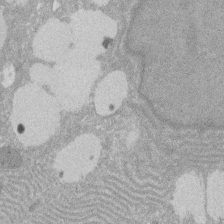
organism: Rat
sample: Salivary granule